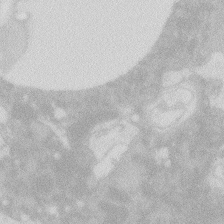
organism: Zebrafish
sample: Macrophage